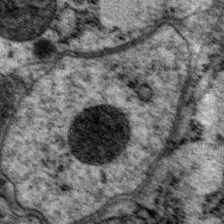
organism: P. pacificus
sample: Pharynx